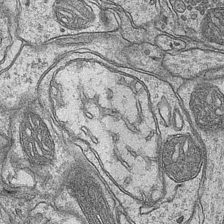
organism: Mouse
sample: CA1 Hippocampus